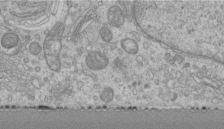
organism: Human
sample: Centriole in RPE cells